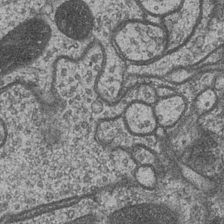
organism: Drosophila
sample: Optic medulla